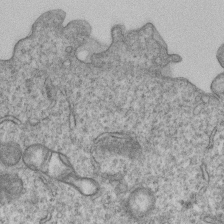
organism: Human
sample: MDA-MB-231 cells